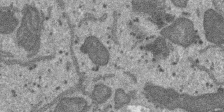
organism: Human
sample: Lung epithelial cells infected with SARS-CoV-2